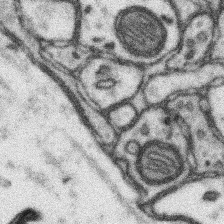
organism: Mouse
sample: Somatosensory cortex neuropil